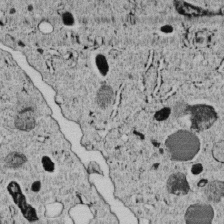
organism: C. elegans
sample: C. elegans embryo early stage